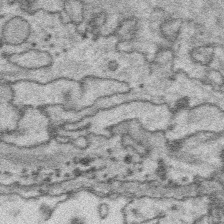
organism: Platynereis dumerilii